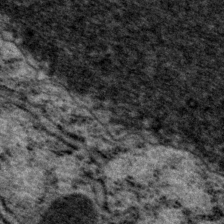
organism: P. pacificus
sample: Pharynx